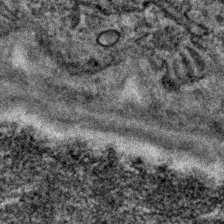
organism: C. elegans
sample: C. elegans embryo